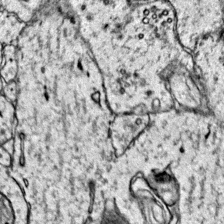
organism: Mouse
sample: Primary visual cortex